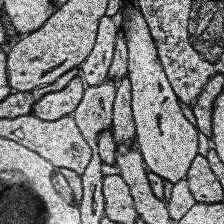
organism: Human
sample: Temporal Lobe